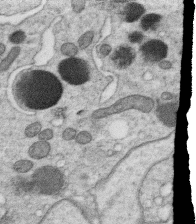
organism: C. elegans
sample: C. elegans oocyte; sperm cells